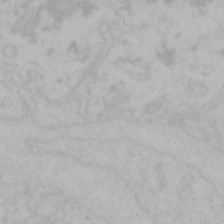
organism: Mouse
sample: Choroid plexus